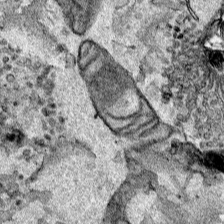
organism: Human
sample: Mitochondria in HCT116 cells